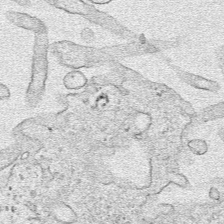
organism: Human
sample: Mitochondria in HCT116 cells